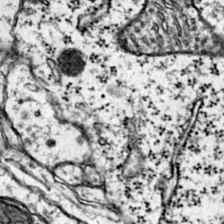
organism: Mouse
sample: Primary visual cortex